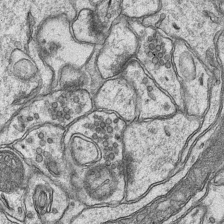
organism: Mouse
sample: CA1 Hippocampus